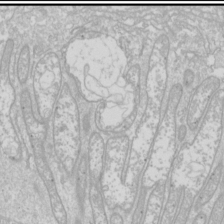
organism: Drosophila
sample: Cell division; meiosis; drosophila spermatocytes